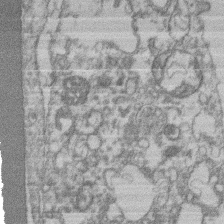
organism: Mouse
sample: T cell stromal cell synapse